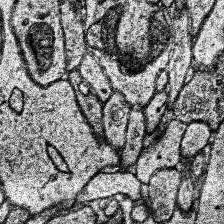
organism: Human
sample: Temporal Lobe